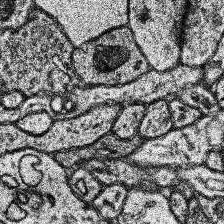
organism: Human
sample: Temporal Lobe